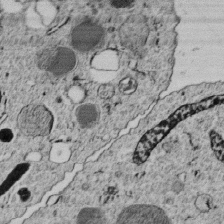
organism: C. elegans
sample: C. elegans embryo early stage